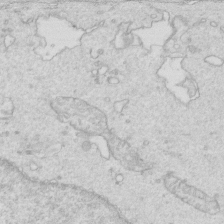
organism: Mouse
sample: Multiciliated cells